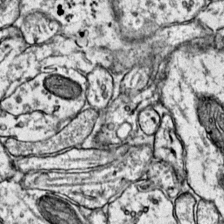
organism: Mouse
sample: Primary visual cortex